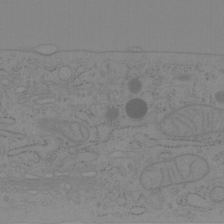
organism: Human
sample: HeLa cells